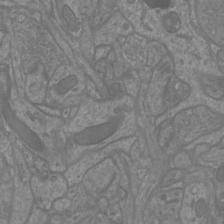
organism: Mouse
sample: Cortical neurons